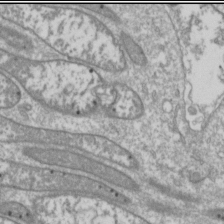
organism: Drosophila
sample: Cell division; meiosis; drosophila spermatocytes